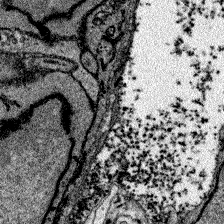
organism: Zebrafish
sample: Larval olfactory bulb